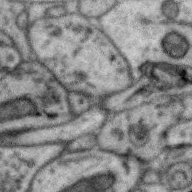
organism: Zebra finch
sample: Brain